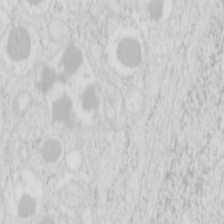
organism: Mouse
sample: Pancreas